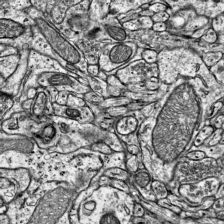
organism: Mouse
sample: Visual Cortex